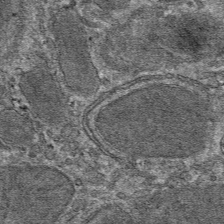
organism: Mouse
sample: Mouse hepatocytes